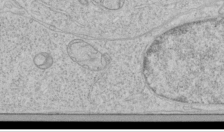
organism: Human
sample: Mitochondria in HCT116 cells